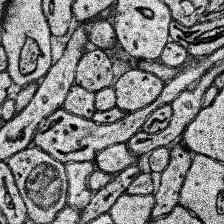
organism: Human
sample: Temporal Lobe